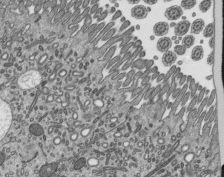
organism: Mouse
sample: Mouse epididymis efferent ductule cilia